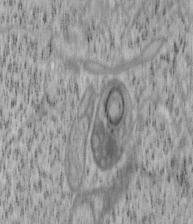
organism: Human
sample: HeLa cells